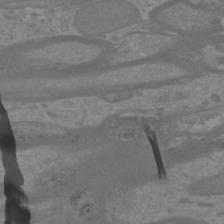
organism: Mouse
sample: Cortical neurons